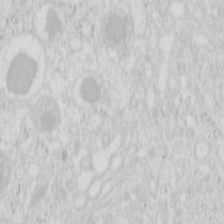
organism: Mouse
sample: Pancreas